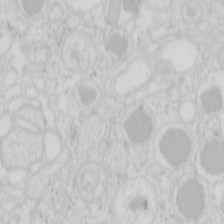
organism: Mouse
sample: Pancreas